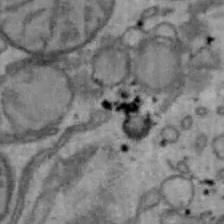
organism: Mouse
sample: Liver